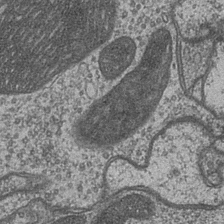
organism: Drosophila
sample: Optic medulla